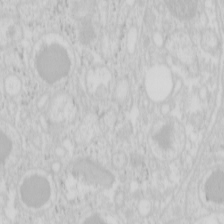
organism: Mouse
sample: Pancreas